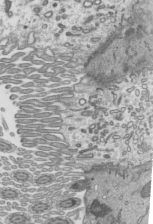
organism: Mouse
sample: Mouse epididymis efferent ductule cilia